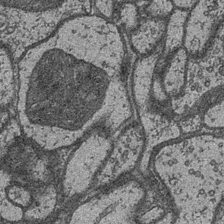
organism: Drosophila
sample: Optic medulla